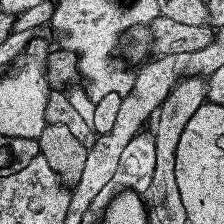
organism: Human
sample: Temporal Lobe